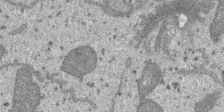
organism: Human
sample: Lung epithelial cells infected with SARS-CoV-2